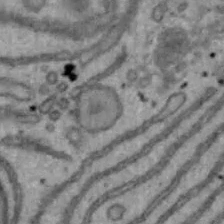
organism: Mouse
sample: Liver